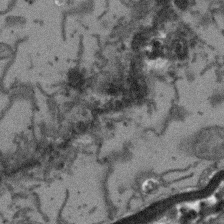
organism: Arabidopsis thaliana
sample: Root tip